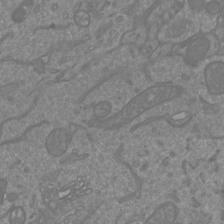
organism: Mouse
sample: Cortical neurons